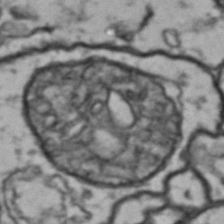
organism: Drosophila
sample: Brain